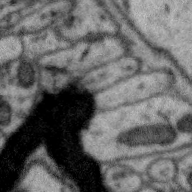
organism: Zebra finch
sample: Brain